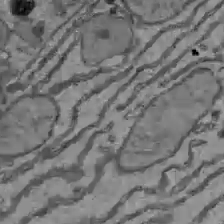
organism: C57BL Mouse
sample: Liver